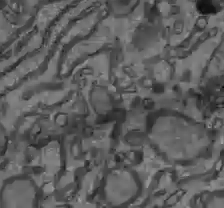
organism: C57BL Mouse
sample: Liver